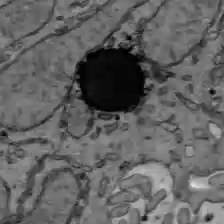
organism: C57BL Mouse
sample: Liver